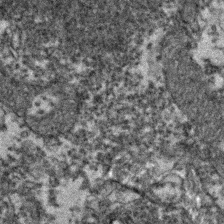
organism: Zebrafish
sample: Zebrafish embryo